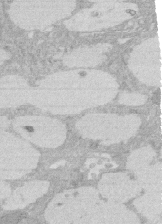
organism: Rat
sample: Salivary granule